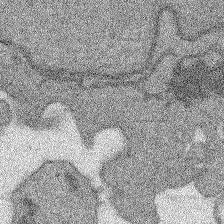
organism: Human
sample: HeLa cells